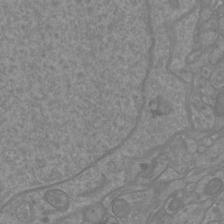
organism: Mouse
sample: Cortical neurons